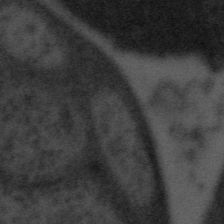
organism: Tuwongella immobilis